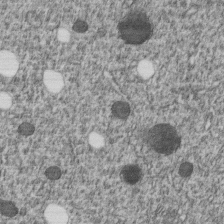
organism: C. elegans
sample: C. elegans embryo early stage